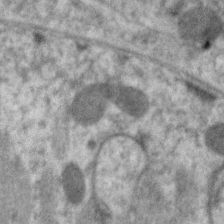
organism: C. elegans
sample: Pharynx